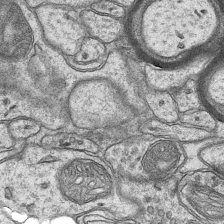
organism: Mouse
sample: CA1 Hippocampus